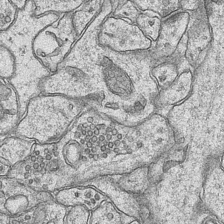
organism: Mouse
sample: CA1 Hippocampus